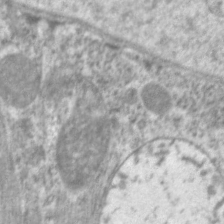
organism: C. elegans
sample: Pharynx